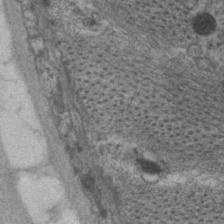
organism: P. pacificus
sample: Pharynx